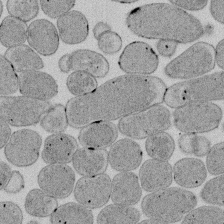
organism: E. coli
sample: Bacterial nucleoid